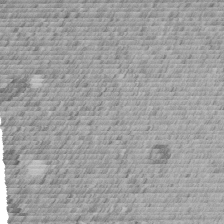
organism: C. elegans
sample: C. elegans embryo early stage